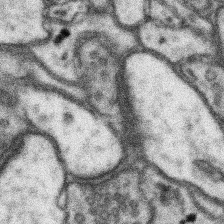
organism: Mouse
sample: Somatosensory cortex neuropil